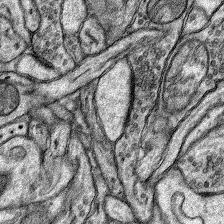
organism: Rat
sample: Hippocampus